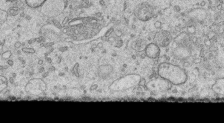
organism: Human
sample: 1205lu cells